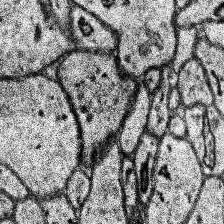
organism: Human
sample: Temporal Lobe